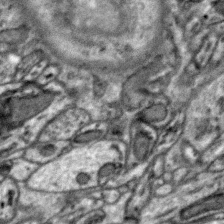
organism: Zebra finch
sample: Brain